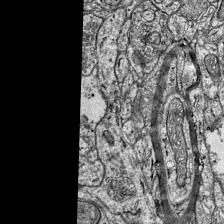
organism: Mouse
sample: Visual Cortex